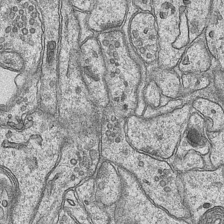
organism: Mouse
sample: CA1 Hippocampus